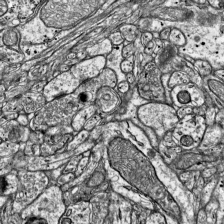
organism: Mouse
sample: Visual Cortex